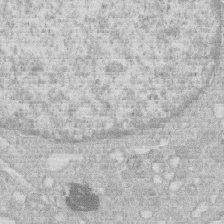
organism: Human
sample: Macrophage cells